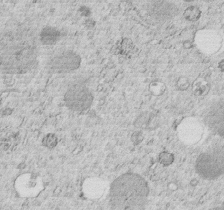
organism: C. elegans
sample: C. elegans embryo early stage